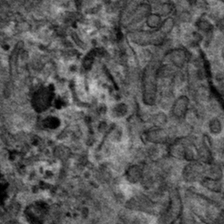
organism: Mouse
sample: Mouse hepatocytes